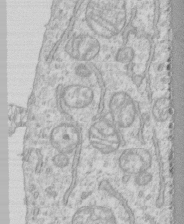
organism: Human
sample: CRL-1474